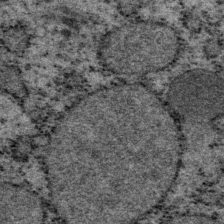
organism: P. pacificus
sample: Pharynx